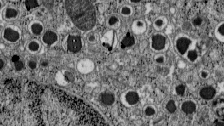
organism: C57BL Mouse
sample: Pancreatic islet